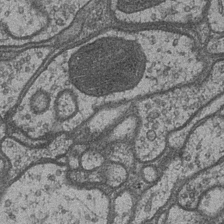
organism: Drosophila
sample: Optic medulla